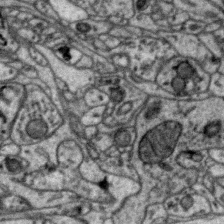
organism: Zebra finch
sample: Brain